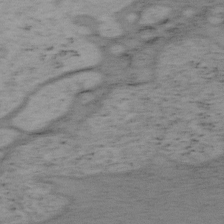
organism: Mouse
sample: OT-I killer T cells with ID8 ovarian cancer cells